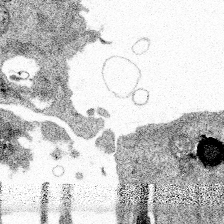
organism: Spongilla lacustris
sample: Multiple